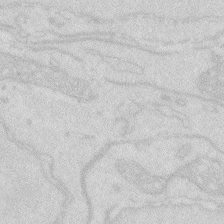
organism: Zebrafish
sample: Macrophage